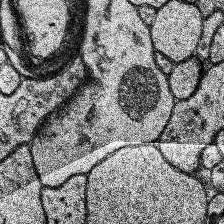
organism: Human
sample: Temporal Lobe